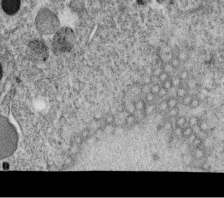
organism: C. elegans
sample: C. elegans oocyte; sperm cells